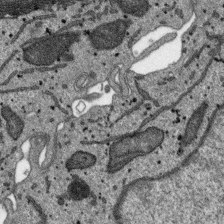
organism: Human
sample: Lung epithelial cells, uninfected (mock) control